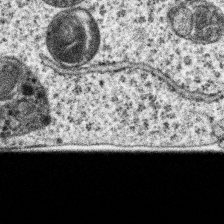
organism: Human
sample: HeLa cells